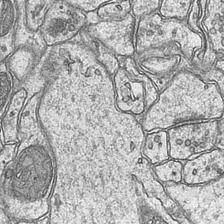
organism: Mouse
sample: CA1 Hippocampus